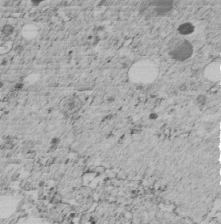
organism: C. elegans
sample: C. elegans embryo early stage